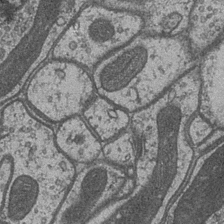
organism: Drosophila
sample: Optic medulla